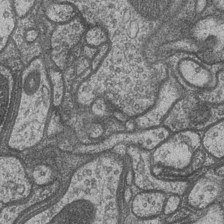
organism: Drosophila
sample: Optic medulla